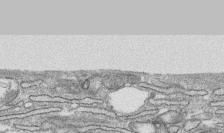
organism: Human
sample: CRL-1474